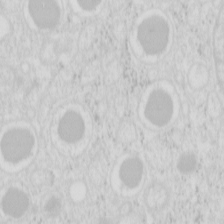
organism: Mouse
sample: Pancreas